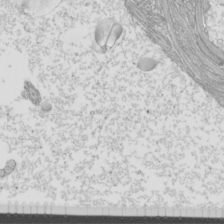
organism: Mouse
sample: Cilia; mouse epididymis